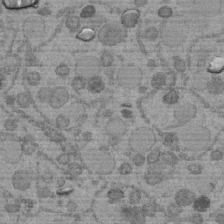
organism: C. elegans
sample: C. elegans embryo early stage